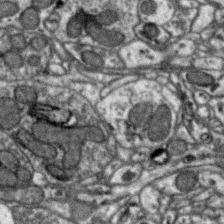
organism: Zebra finch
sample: Brain